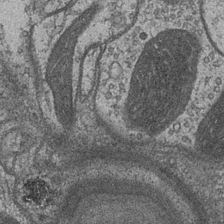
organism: Drosophila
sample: Optic medulla